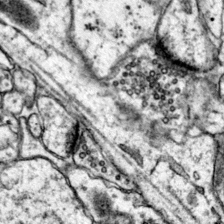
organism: Mouse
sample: Primary visual cortex